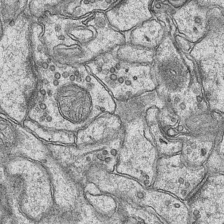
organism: Mouse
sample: CA1 Hippocampus